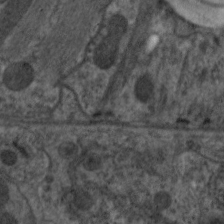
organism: C. elegans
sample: Pharynx